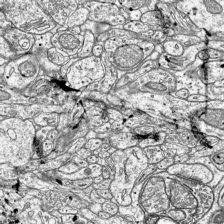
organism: Mouse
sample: Visual Cortex